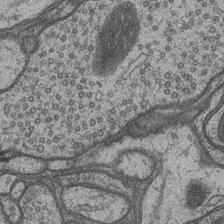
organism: Drosophila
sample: Optic medulla